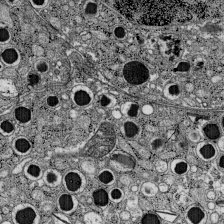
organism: C57BL Mouse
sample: Pancreatic islet